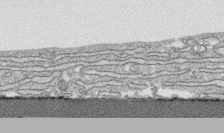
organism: Human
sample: CRL-1474